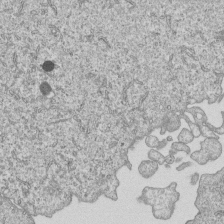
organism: Human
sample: MDA-MB-231 cells